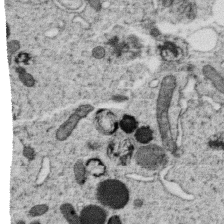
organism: C. elegans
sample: C. elegans oocyte; sperm cells